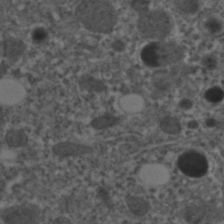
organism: C. elegans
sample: C. elegans embryo